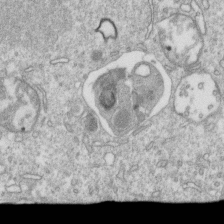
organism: Mouse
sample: Activated OT-1 CD8+ T cells